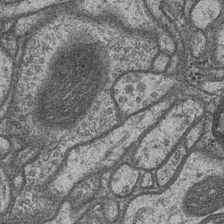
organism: Drosophila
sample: Optic medulla